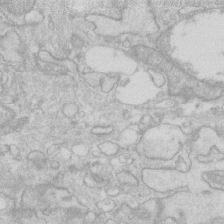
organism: Human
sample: Fibroblast cells